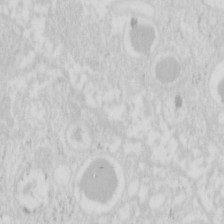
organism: Mouse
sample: Pancreas